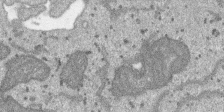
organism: Human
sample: Lung epithelial cells infected with SARS-CoV-2